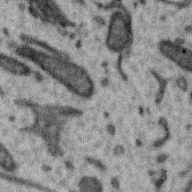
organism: Zebra finch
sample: Brain